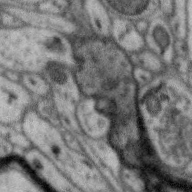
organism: Zebra finch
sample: Brain